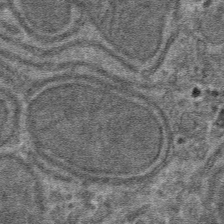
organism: Mouse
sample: Mouse hepatocytes